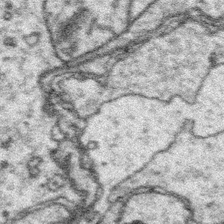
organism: Platynereis dumerilii